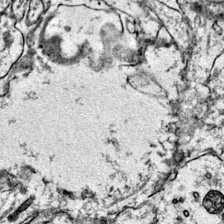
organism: Mouse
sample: Primary visual cortex